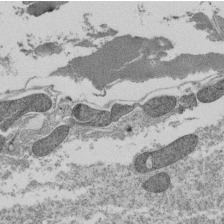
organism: Tetrahymena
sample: Cilia in tetrahymena